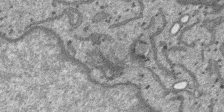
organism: Human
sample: Lung epithelial cells infected with SARS-CoV-2